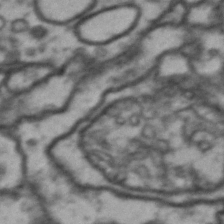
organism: Drosophila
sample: Brain